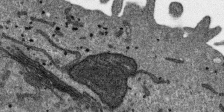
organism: Human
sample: Lung epithelial cells, uninfected (mock) control